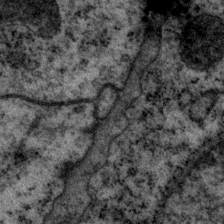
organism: P. pacificus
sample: Pharynx